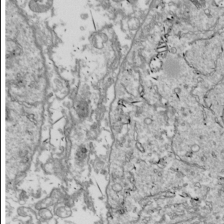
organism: Drosophila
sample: Cell division; meiosis; drosophila spermatocytes